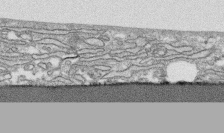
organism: Human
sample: CRL-1474